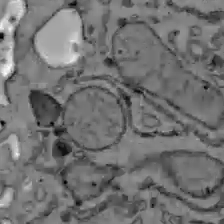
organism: C57BL Mouse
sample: Liver